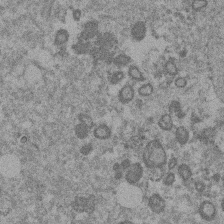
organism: Mouse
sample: Dividing mouse embryo 1 cell stage